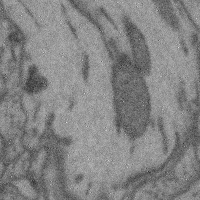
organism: Mouse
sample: Cerebral cortex